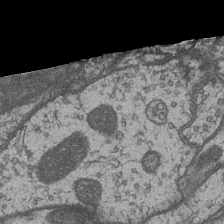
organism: Drosophila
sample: Optic medulla